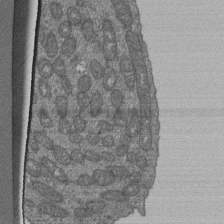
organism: Human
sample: Retinal organoid Rod and Cone cells